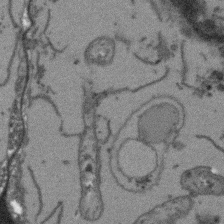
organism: Arabidopsis thaliana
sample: Root tip